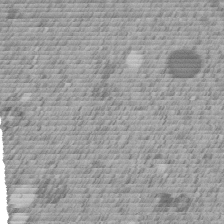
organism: C. elegans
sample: C. elegans embryo early stage